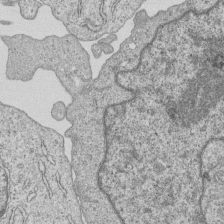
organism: Human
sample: MDA-MB-231 cells